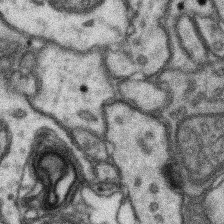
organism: Mouse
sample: Somatosensory cortex neuropil